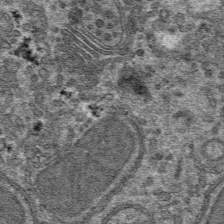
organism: Mouse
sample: Mouse hepatocytes